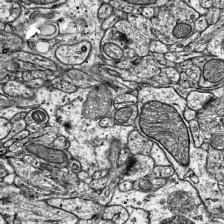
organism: Mouse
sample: Visual Cortex